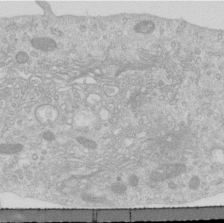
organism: Human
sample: Centriole in RPE cells